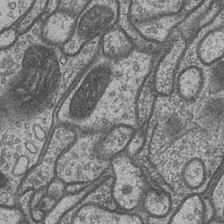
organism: Drosophila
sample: Optic medulla